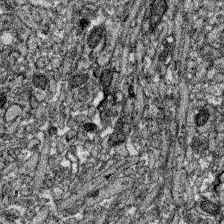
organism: Zebrafish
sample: Larval olfactory bulb